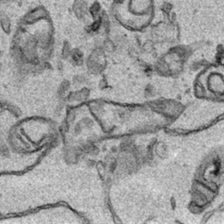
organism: Human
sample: Mitochondria in HCT116 cells